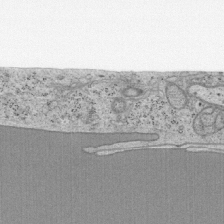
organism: Human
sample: HeLa cells